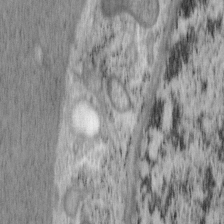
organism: Human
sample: HeLa cells